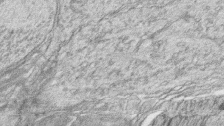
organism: Zebrafish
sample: synaptic ribbons in rod cells and cone cells